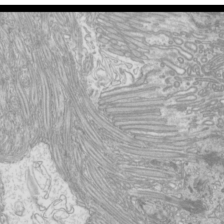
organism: Mouse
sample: Cilia; mouse epididymis